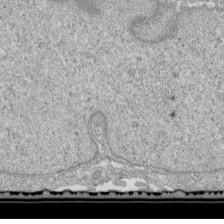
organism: Human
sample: HeLa cell HIV synapse